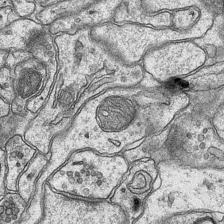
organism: Mouse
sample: CA1 Hippocampus